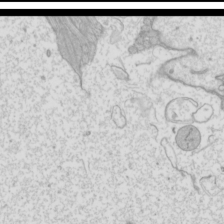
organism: Mouse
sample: Cilia; mouse epididymis